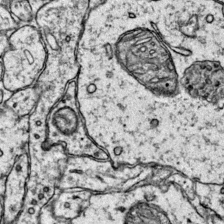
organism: Mouse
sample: Primary visual cortex